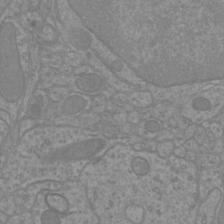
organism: Mouse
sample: Cortical neurons